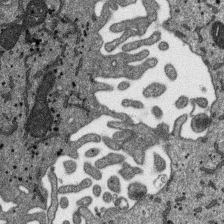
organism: Human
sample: Lung epithelial cells infected with SARS-CoV-2